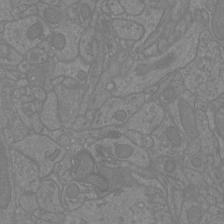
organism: Mouse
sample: Cortical neurons